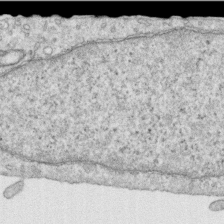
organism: Human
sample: Centriole in RPE cells